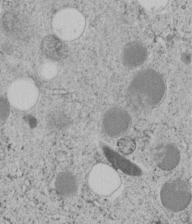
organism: C. elegans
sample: C. elegans embryo early stage